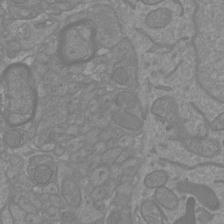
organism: Mouse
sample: Cortical neurons